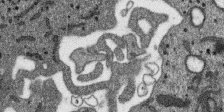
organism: Human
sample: Lung epithelial cells infected with SARS-CoV-2